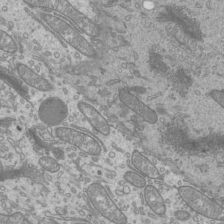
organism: Mouse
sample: Cilia; mouse epididymis